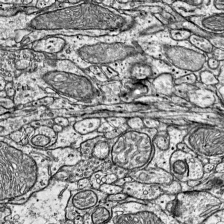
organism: Mouse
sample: Visual Cortex